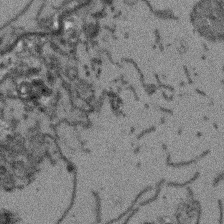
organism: Arabidopsis thaliana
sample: Root tip